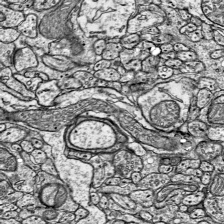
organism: Mouse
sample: Visual Cortex